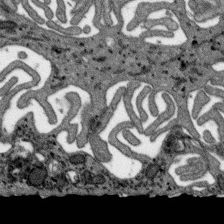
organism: Human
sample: Lung epithelial cells, uninfected (mock) control